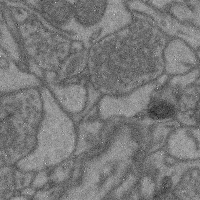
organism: Mouse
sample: Cerebral cortex